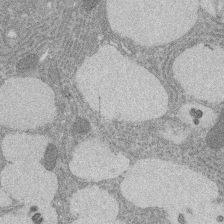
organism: Rat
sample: Salivary granule